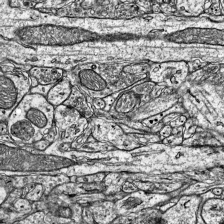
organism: Mouse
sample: Visual Cortex